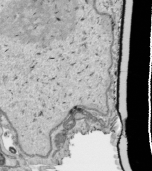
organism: Human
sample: Mitochondria in HCT116 cells